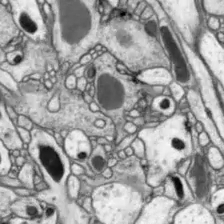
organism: Drosophila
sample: Optic lobe